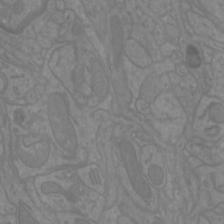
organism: Mouse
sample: Cortical neurons